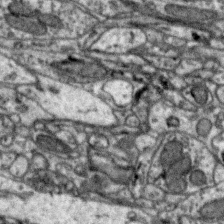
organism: Zebra finch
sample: Brain